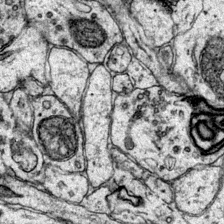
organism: Mouse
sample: Primary visual cortex